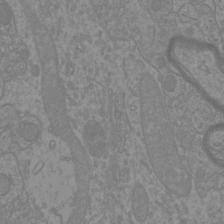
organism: Mouse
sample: Cortical neurons